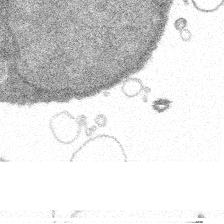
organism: Spongilla lacustris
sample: Multiple